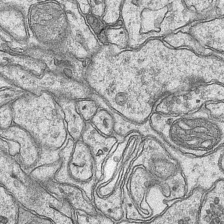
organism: Mouse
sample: CA1 Hippocampus